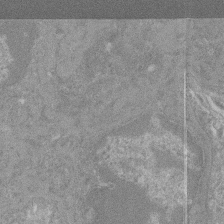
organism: Mouse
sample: Glomerulus